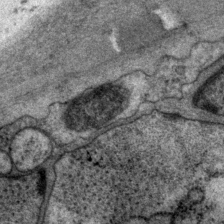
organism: P. pacificus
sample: Pharynx